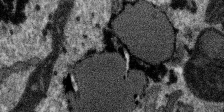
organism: Human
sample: Lung epithelial cells infected with SARS-CoV-2